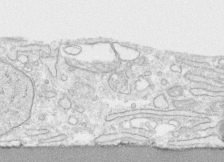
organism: Human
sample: CRL-1474